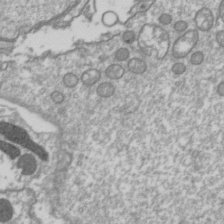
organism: Drosophila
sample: Cell division; meiosis; drosophila spermatocytes